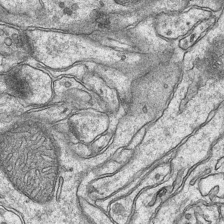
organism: Mouse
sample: CA1 Hippocampus